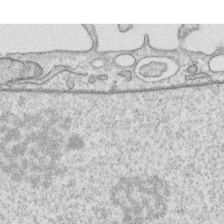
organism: Human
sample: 1205lu cells